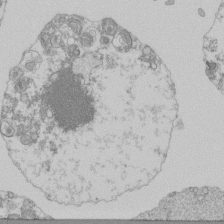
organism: Mouse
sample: Activated Pmel transgenic CD8+ T Cells